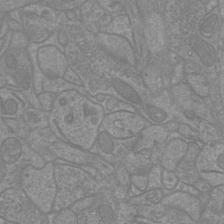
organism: Mouse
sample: Cortical neurons